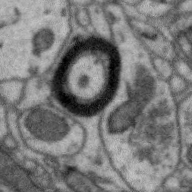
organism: Zebra finch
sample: Brain